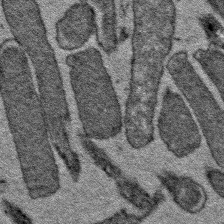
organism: E. coli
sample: E. Coli Bacteria